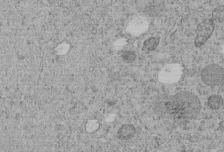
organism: C. elegans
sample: C. elegans embryo early stage